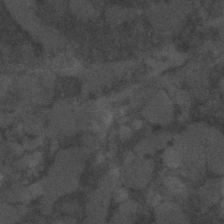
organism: C. elegans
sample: C. elegans embryo